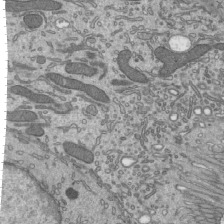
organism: Mouse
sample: Mouse epididymis efferent ductule cilia